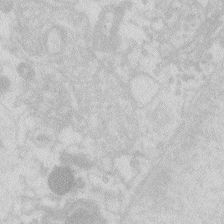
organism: Zebrafish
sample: Macrophage